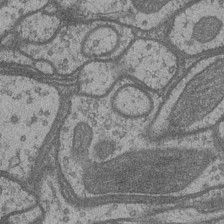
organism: Drosophila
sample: Optic medulla